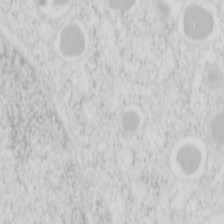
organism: Mouse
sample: Pancreas